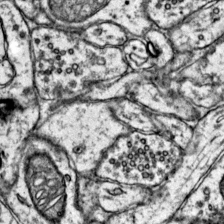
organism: Mouse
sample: Primary visual cortex